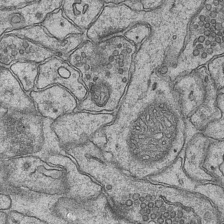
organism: Mouse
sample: CA1 Hippocampus